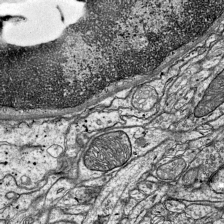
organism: Mouse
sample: Visual Cortex